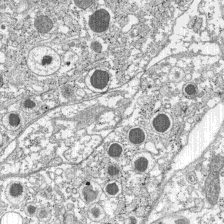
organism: C57BL Mouse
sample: Pancreatic islet